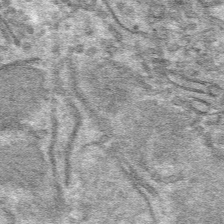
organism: Mouse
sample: Mouse hepatocytes